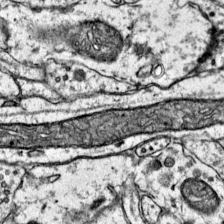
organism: Mouse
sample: Primary visual cortex